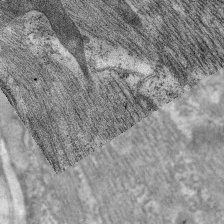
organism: C. elegans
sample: Pharynx